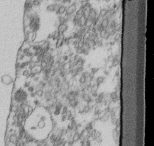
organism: Mouse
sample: Cilia; retinal pigment epithelium